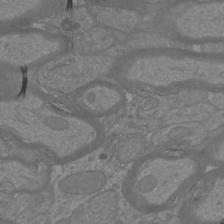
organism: Mouse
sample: Cortical neurons